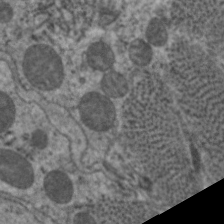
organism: C. elegans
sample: Pharynx